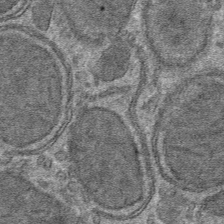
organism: Mouse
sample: Mouse hepatocytes